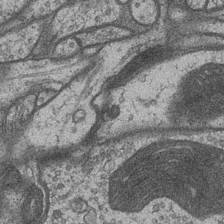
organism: Drosophila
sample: Optic medulla